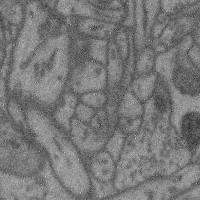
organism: Mouse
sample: Cerebral cortex